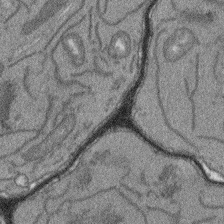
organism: Arabidopsis thaliana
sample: Root tip